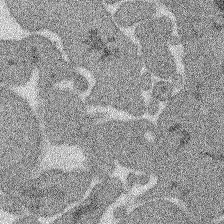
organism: Human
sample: HeLa cells